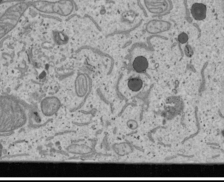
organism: Human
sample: Mitochondria in U2OS cells